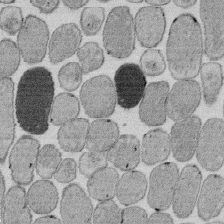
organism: E. coli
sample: Bacterial nucleoid